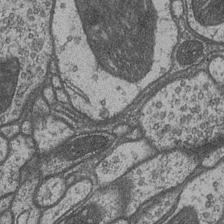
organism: Drosophila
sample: Optic medulla